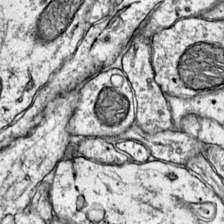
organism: Mouse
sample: Primary visual cortex